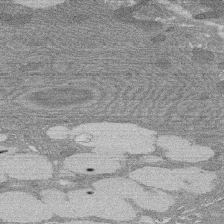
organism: Rat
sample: Salivary granule